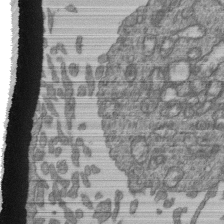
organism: Human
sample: Retinal organoid Rod and Cone cells